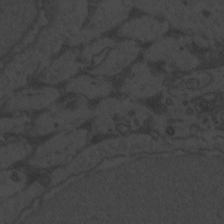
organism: Zebrafish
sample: Macrophage infected with Toxoplasma gondii